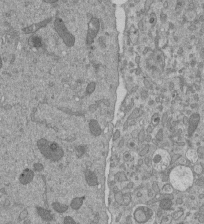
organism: Mouse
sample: ED-1 cell nuclei; centrioles